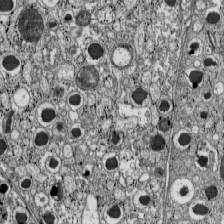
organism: C57BL Mouse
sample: Pancreatic islet